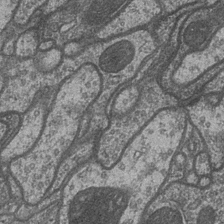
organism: Drosophila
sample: Optic medulla